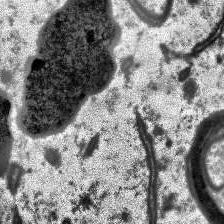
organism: Human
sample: Temporal Lobe